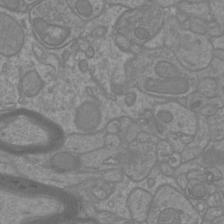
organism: Mouse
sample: Cortical neurons